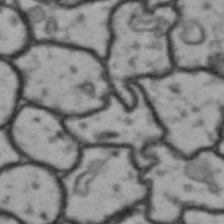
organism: Drosophila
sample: Brain